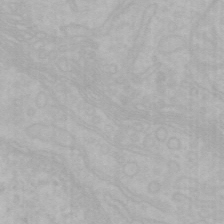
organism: Mouse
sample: Choroid plexus